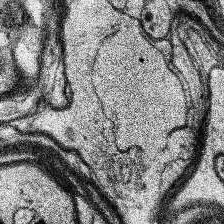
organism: Human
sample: Temporal Lobe